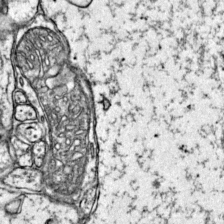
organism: Mouse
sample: Primary visual cortex